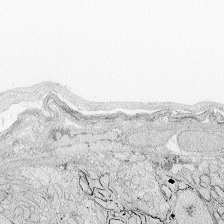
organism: Zebrafish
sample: Whole-Brain